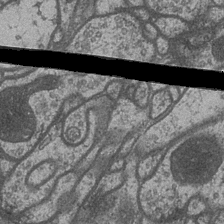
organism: Drosophila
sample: Optic medulla